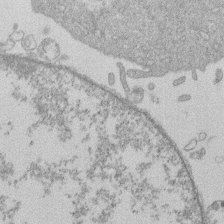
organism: Human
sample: Macrophage cells